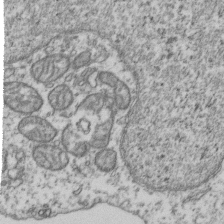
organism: Human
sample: Activated Jurkat CD4+ T cells